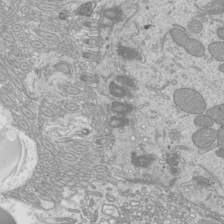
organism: Mouse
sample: Cilia; mouse epididymis